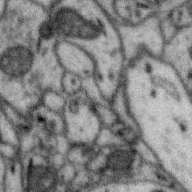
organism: Zebra finch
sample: Brain